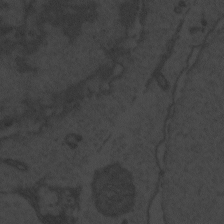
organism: Zebrafish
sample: Macrophage infected with Toxoplasma gondii